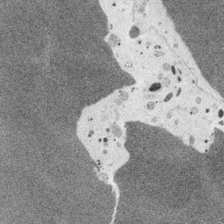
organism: Embia sp.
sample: Silk gland